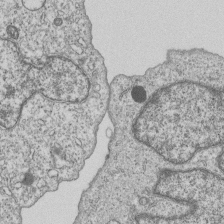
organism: Human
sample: MDA-MB-231 cells